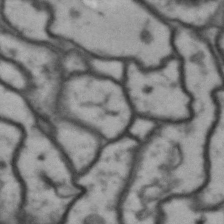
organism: Drosophila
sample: Brain